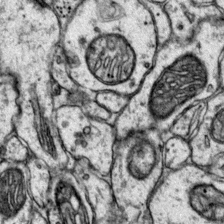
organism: Mouse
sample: Primary visual cortex